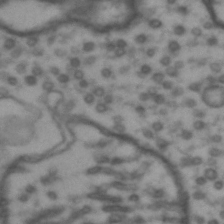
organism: Drosophila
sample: Brain